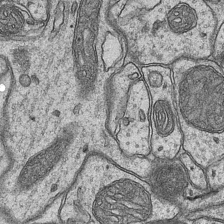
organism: Mouse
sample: CA1 Hippocampus